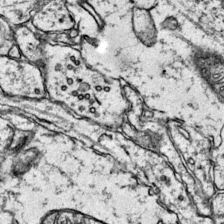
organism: Mouse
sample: Primary visual cortex